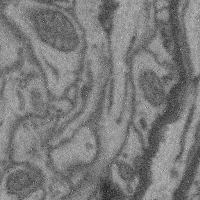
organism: Mouse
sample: Cerebral cortex